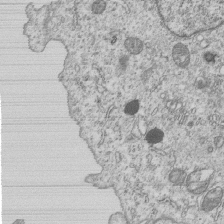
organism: Human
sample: MDA-MB-231 cells